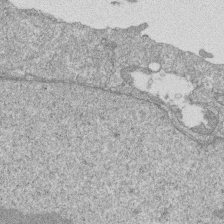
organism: Human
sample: HeLa cell HIV synapse